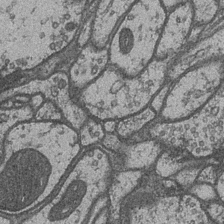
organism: Drosophila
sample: Optic medulla